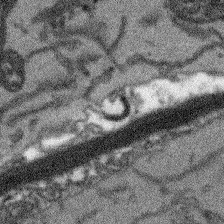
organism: Arabidopsis thaliana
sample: Root tip